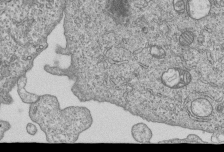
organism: Human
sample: MDA-MB-231 cells